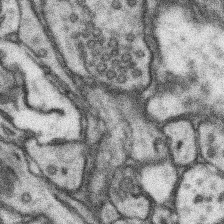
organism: Mouse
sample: Somatosensory cortex neuropil